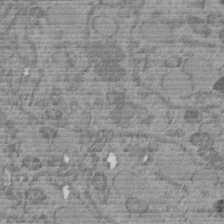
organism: C. elegans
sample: C. elegans embryo early stage